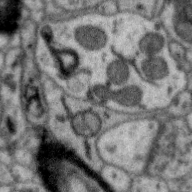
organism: Zebra finch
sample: Brain